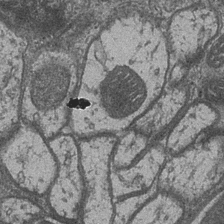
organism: Drosophila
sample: Optic medulla